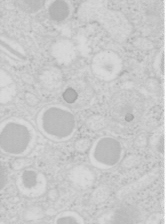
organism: Mouse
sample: Pancreas